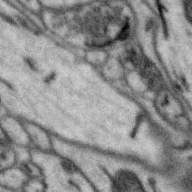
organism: Zebra finch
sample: Brain